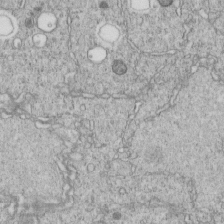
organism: C. elegans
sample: C. elegans embryo early stage